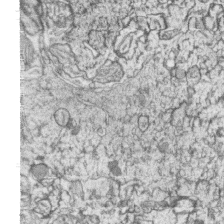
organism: Zebrafish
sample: synaptic ribbons in rod cells and cone cells